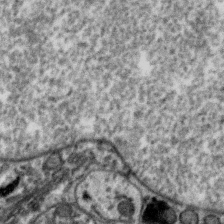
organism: Zebra finch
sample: Brain